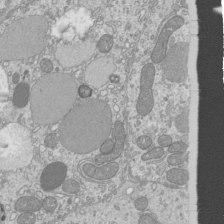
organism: Mouse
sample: Cilia; mouse epididymis